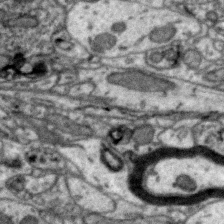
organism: Zebra finch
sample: Brain